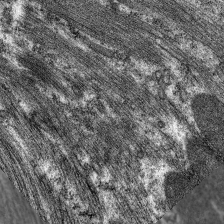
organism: C. elegans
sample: Pharynx